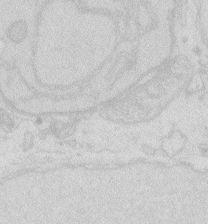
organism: Zebrafish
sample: Macrophage